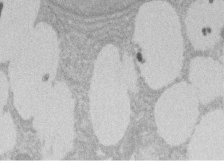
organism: Rat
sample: Salivary granule